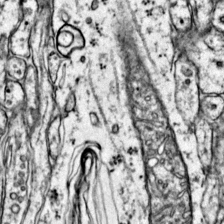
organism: Mouse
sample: Primary visual cortex